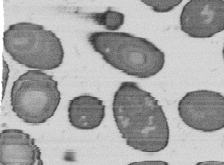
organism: B. subtilis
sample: Bacterial spore